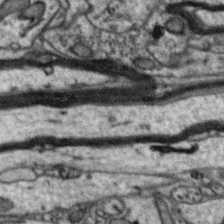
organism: Zebra finch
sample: Brain